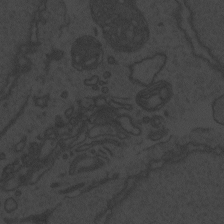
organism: Zebrafish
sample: Macrophage infected with Toxoplasma gondii